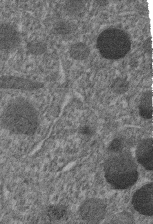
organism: C. elegans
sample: C. elegans embryo early stage